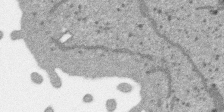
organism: Human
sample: Lung epithelial cells infected with SARS-CoV-2